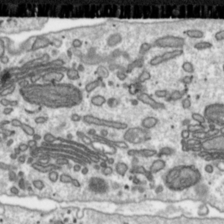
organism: Toxoplasma gondii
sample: Parasites in a vacuole inside a host cell